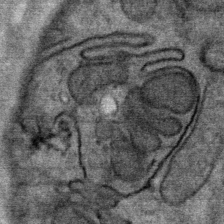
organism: Mouse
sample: Mouse Salivary gland